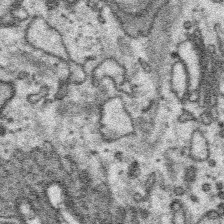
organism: Platynereis dumerilii